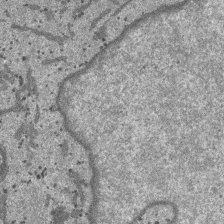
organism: Human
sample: Lung epithelial cells infected with SARS-CoV-2